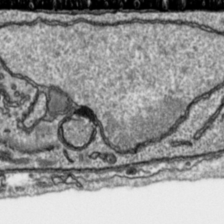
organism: Toxoplasma gondii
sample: Parasites in a vacuole inside a host cell